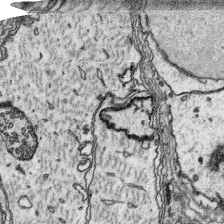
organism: Platynereis dumerilii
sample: Parapodia